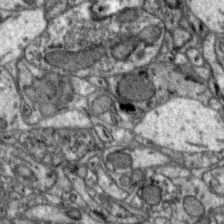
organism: Zebra finch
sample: Brain